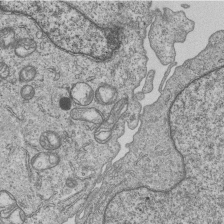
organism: Human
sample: MDA-MB-231 cells